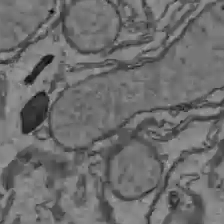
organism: C57BL Mouse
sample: Liver